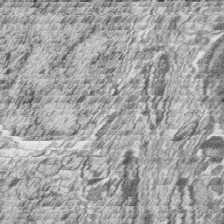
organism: Zebrafish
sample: synaptic ribbons in rod cells and cone cells